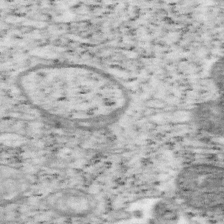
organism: Mouse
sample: OT-I killer T cells with ID8 ovarian cancer cells